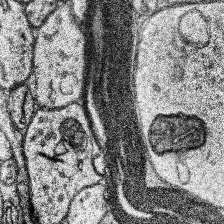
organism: Human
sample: Temporal Lobe